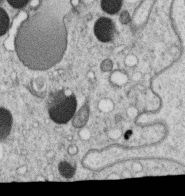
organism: C. elegans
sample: C. elegans oocyte; sperm cells